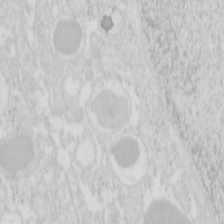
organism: Mouse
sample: Pancreas